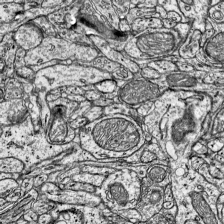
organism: Mouse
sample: Visual Cortex